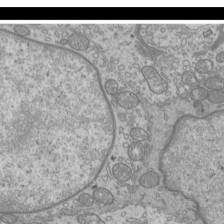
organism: Mouse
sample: Cilia; mouse epididymis